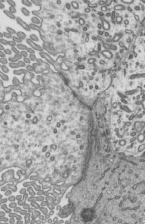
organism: Mouse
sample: Mouse epididymis efferent ductule cilia